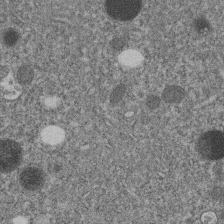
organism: C. elegans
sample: C. elegans embryo early stage